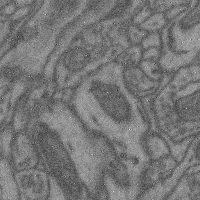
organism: Mouse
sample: Cerebral cortex